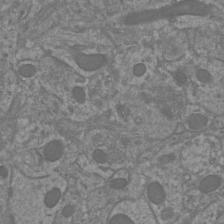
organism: Mouse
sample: Cortical neurons